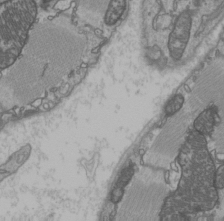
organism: C57BL Mouse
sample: Heart